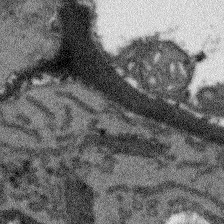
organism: Arabidopsis thaliana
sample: Root tip